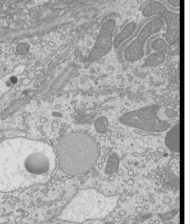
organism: Mouse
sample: Cilia; mouse epididymis